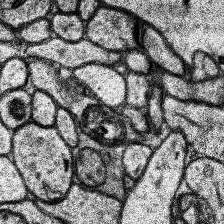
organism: Human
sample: Temporal Lobe